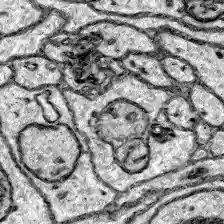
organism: Zebrafish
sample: Brain